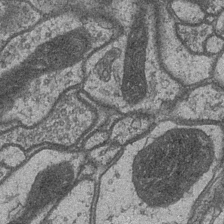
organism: Drosophila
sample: Optic medulla